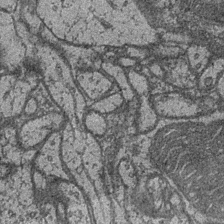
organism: Drosophila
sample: Optic medulla